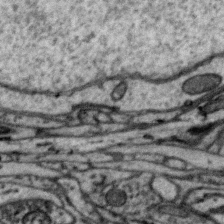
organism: Zebra finch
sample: Brain